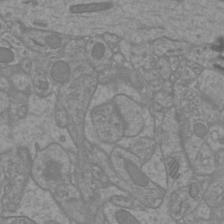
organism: Mouse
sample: Cortical neurons